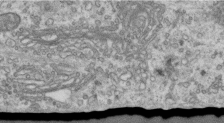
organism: Human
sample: Centriole in RPE cells